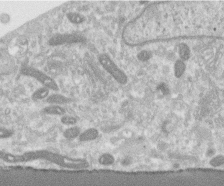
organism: Human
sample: Centriole in RPE cells